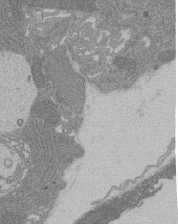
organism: Rat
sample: Salivary granule